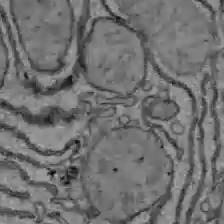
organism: C57BL Mouse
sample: Liver